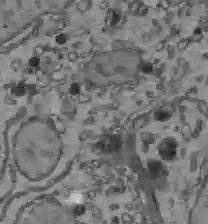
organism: C57BL Mouse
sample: Liver